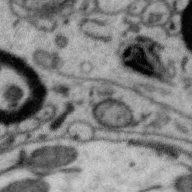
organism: Zebra finch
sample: Brain